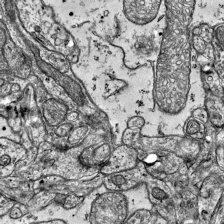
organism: Mouse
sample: Visual Cortex